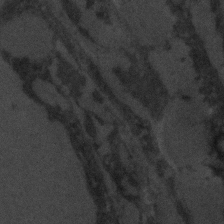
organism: C. elegans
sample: C. elegans embryo